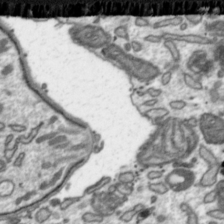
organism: Toxoplasma gondii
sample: Parasites in a vacuole inside a host cell